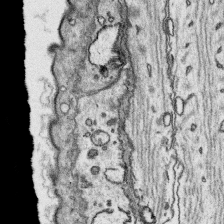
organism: Platynereis dumerilii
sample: Parapodia